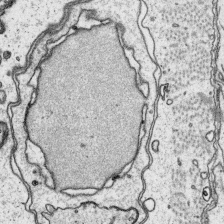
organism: Platynereis dumerilii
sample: Parapodia